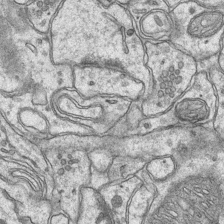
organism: Mouse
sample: CA1 Hippocampus